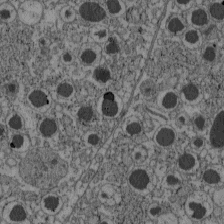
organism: C57BL Mouse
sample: Pancreatic islet